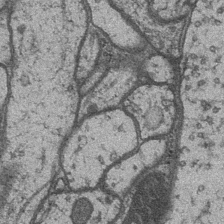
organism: Drosophila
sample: Optic medulla